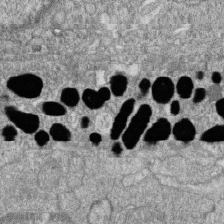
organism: Zebrafish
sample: Cilia; retinal pigment epithelium